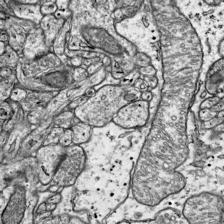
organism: Mouse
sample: Visual Cortex